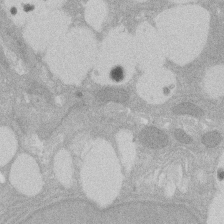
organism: Rat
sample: Salivary granule